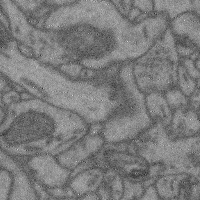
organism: Mouse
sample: Cerebral cortex